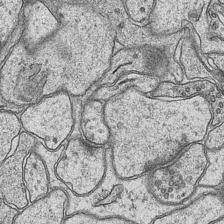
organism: Mouse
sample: CA1 Hippocampus